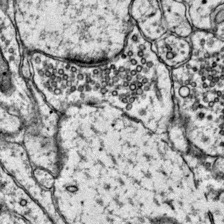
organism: Mouse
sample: Primary visual cortex